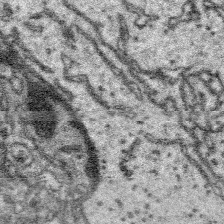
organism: Platynereis dumerilii